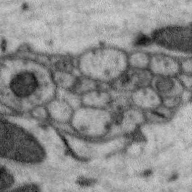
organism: Zebra finch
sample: Brain